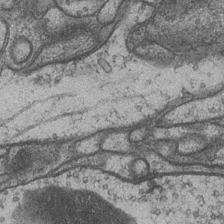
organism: Drosophila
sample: Optic medulla